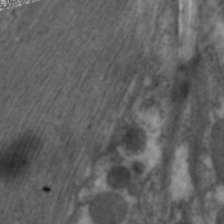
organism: C. elegans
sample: Pharynx